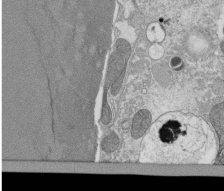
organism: Tetrahymena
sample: Cilia in tetrahymena